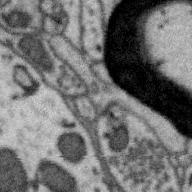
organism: Zebra finch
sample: Brain